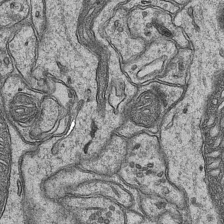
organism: Mouse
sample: CA1 Hippocampus